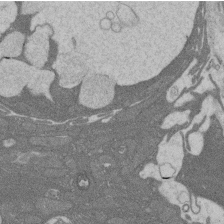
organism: Rat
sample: Salivary granule